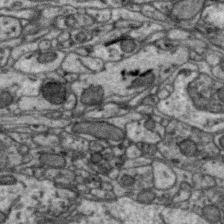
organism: Zebra finch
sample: Brain